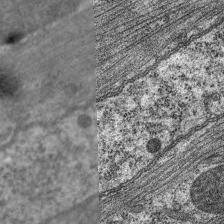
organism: C. elegans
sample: Pharynx